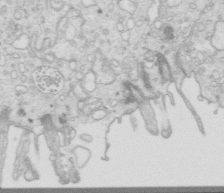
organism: Mouse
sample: Multiciliated cells